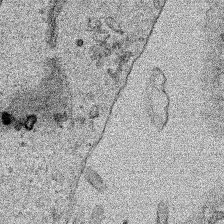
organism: Human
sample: Mitochondria in HCT116 cells